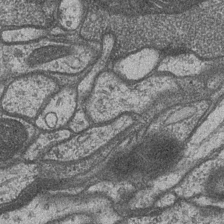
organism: Drosophila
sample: Optic medulla